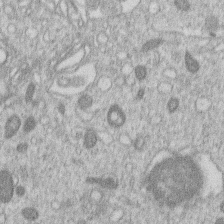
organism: Human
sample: Macrophage cells